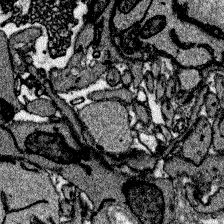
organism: Zebrafish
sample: Larval olfactory bulb